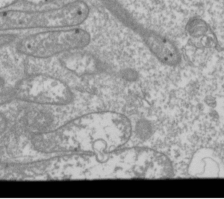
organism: Drosophila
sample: Cell division; meiosis; drosophila spermatocytes